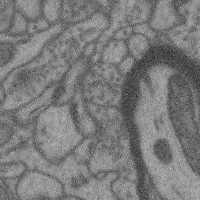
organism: Mouse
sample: Cerebral cortex